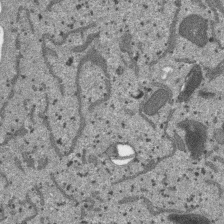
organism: Human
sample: Lung epithelial cells infected with SARS-CoV-2